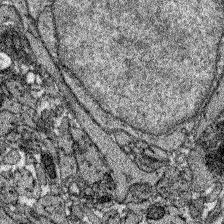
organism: Zebrafish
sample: Larval olfactory bulb